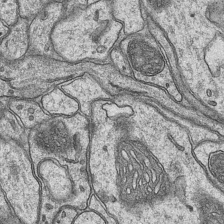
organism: Mouse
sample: CA1 Hippocampus